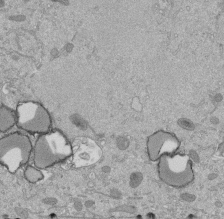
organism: Mouse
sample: ED-1 cell nuclei; centrioles